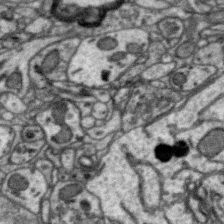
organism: Zebra finch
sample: Brain